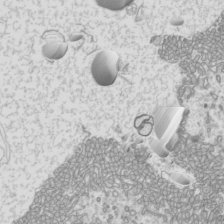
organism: Mouse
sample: Cilia; mouse epididymis